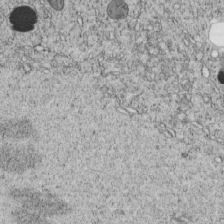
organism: C. elegans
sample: C. elegans embryo early stage